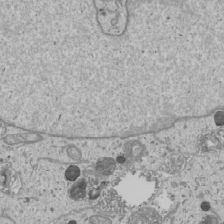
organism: Human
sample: Mitochondria in U2OS cells